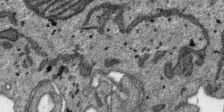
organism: Human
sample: Lung epithelial cells, uninfected (mock) control